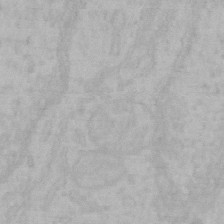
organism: Mouse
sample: Choroid plexus